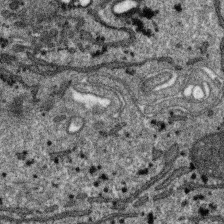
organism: Human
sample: Lung epithelial cells infected with SARS-CoV-2